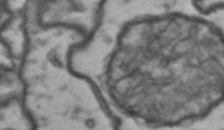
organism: Drosophila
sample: Brain